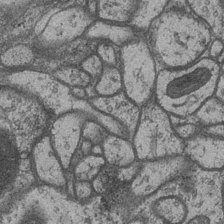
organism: Drosophila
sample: Optic medulla